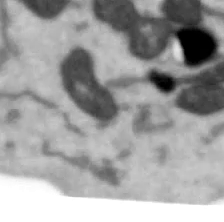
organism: Human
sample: SH-SY5Y cells